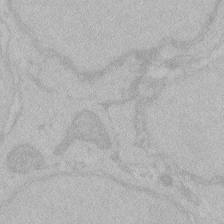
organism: Zebrafish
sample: Macrophage infected with Toxoplasma gondii